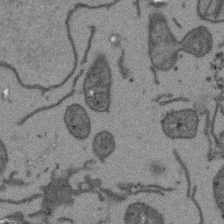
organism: Arabidopsis thaliana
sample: Root tip